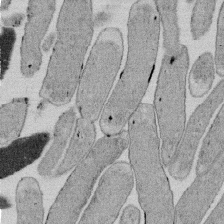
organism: E. coli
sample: Bacterial nucleoid